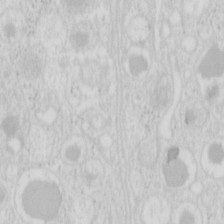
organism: Mouse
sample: Pancreas